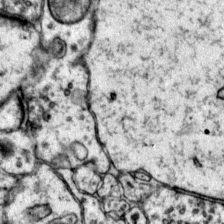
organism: Mouse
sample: Primary visual cortex